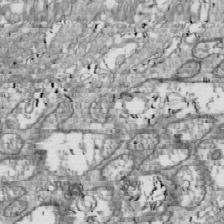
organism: Drosophila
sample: Cell division; meiosis; drosophila spermatocytes